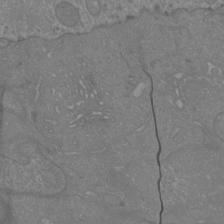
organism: Mouse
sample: Cortical neurons